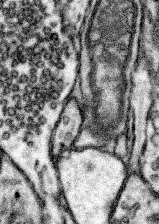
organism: Mouse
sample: Somatosensory cortex neuropil